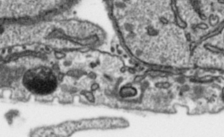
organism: Toxoplasma gondii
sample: Parasites in a vacuole inside a host cell